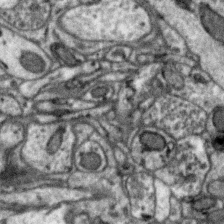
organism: Zebra finch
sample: Brain